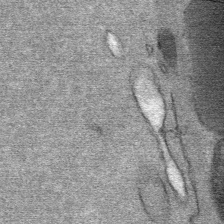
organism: Mouse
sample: Mouse Salivary gland